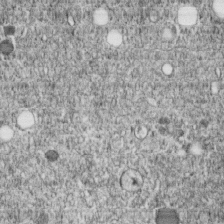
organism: C. elegans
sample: C. elegans embryo early stage